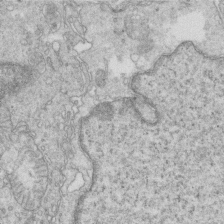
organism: Mouse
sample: Multiciliated cells